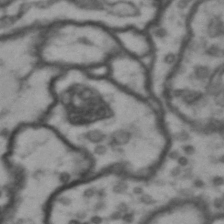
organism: Drosophila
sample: Brain